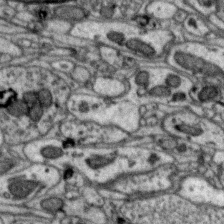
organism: Zebra finch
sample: Brain